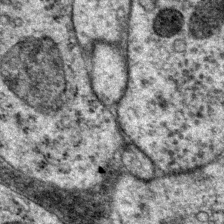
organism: P. pacificus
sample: Pharynx